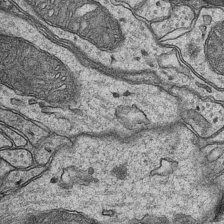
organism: Mouse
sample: CA1 Hippocampus